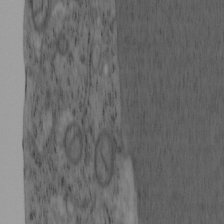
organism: Human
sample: HeLa cells